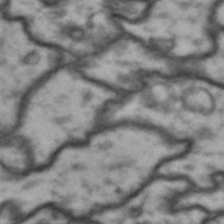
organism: Drosophila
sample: Brain